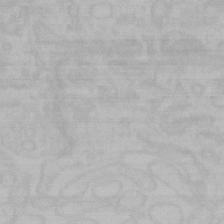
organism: Mouse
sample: Choroid plexus